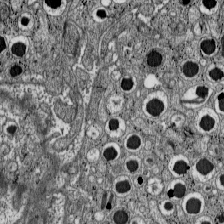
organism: C57BL Mouse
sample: Pancreatic islet